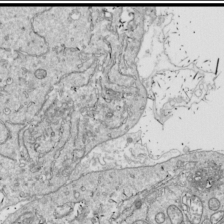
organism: Drosophila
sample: Cell division; meiosis; drosophila spermatocytes